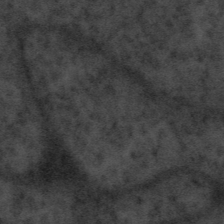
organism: Tuwongella immobilis